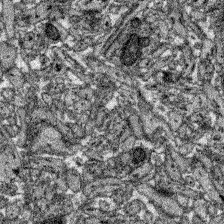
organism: Zebrafish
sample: Larval olfactory bulb